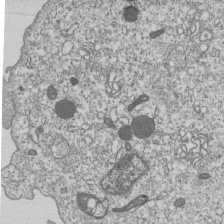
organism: Human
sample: MDA-MB-231 cells